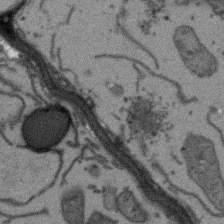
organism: Arabidopsis thaliana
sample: Root tip